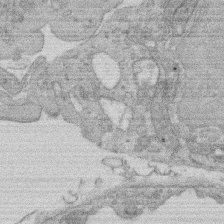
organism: Rat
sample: Salivary granule